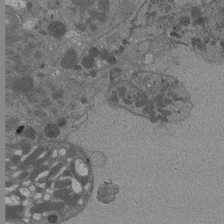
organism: Drosophila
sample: Antenna